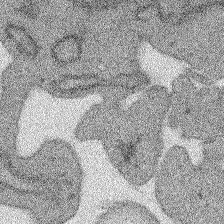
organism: Human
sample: HeLa cells